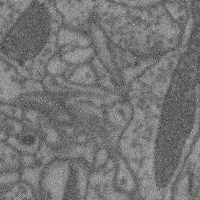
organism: Mouse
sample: Cerebral cortex